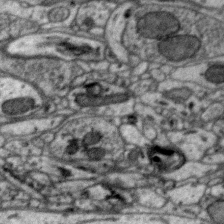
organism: Zebra finch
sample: Brain